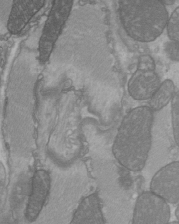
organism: C57BL Mouse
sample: Heart